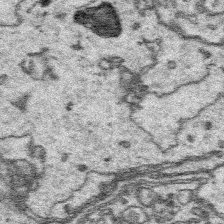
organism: Platynereis dumerilii